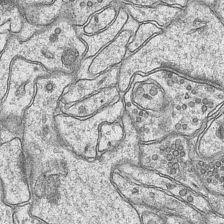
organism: Mouse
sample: CA1 Hippocampus